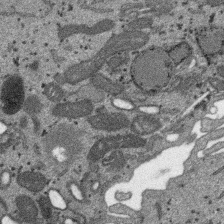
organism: Human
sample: Lung epithelial cells infected with SARS-CoV-2